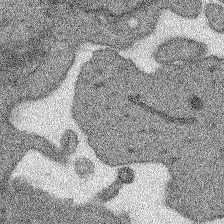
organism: Human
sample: HeLa cells